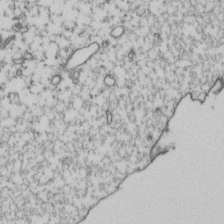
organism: Human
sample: Activated Jurkat CD4+ T cells